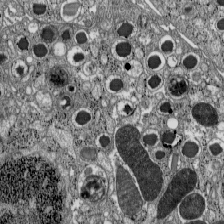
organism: C57BL Mouse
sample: Pancreatic islet